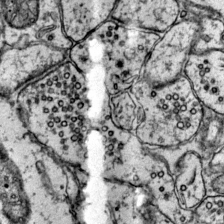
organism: Mouse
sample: Primary visual cortex